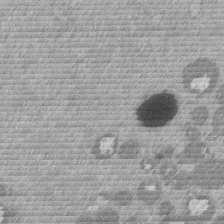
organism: Mouse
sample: Dividing mouse embryo 1 cell stage